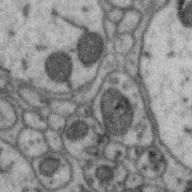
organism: Zebra finch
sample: Brain